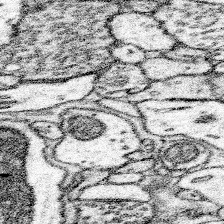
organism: Mouse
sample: Somatosensory cortex neuropil